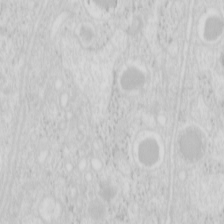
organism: Mouse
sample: Pancreas